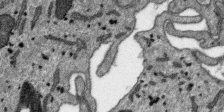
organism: Human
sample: Lung epithelial cells, uninfected (mock) control